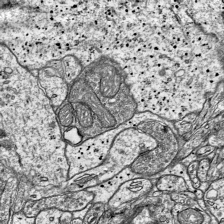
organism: Mouse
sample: Visual Cortex